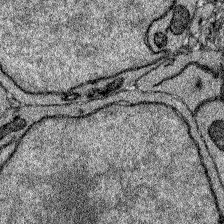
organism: Zebrafish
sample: Larval olfactory bulb